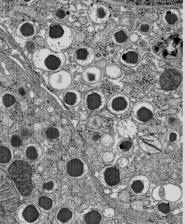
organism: C57BL Mouse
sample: Pancreatic islet